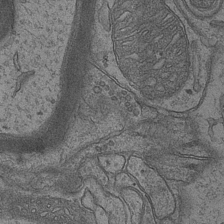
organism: Mouse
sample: CA1 Hippocampus